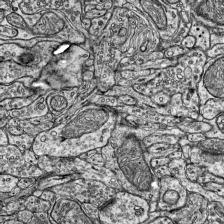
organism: Mouse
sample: Visual Cortex